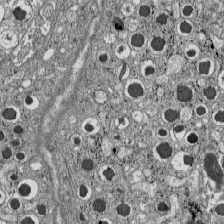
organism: C57BL Mouse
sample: Pancreatic islet